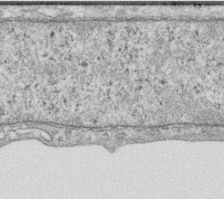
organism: Human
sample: Centriole in RPE cells